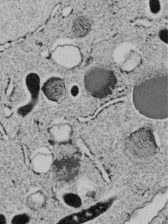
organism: C. elegans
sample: C. elegans embryo early stage